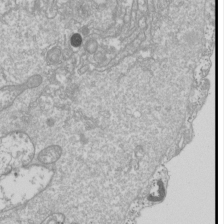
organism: Drosophila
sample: Cell division; meiosis; drosophila spermatocytes